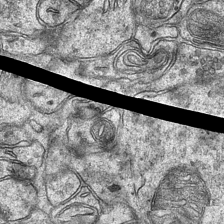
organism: Mouse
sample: CA1 Hippocampus